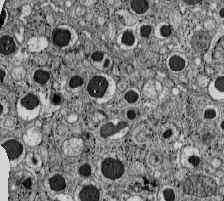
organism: C57BL Mouse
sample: Pancreatic islet